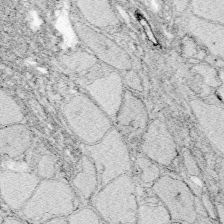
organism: Zebrafish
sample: Whole-Brain